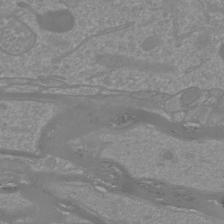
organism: Mouse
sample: Cortical neurons